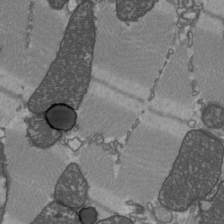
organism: C57BL Mouse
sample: Heart